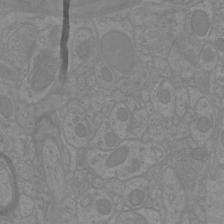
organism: Mouse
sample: Cortical neurons